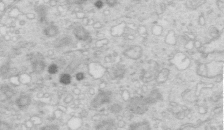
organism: Mouse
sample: Multiciliated cells